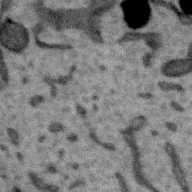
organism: Zebra finch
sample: Brain